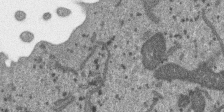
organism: Human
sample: Lung epithelial cells infected with SARS-CoV-2